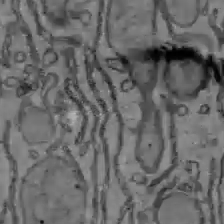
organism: C57BL Mouse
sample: Liver